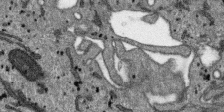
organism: Human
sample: Lung epithelial cells, uninfected (mock) control